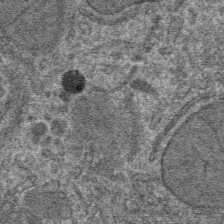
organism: Mouse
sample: Mouse hepatocytes